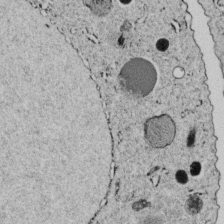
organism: C. elegans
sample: C. elegans embryo early stage